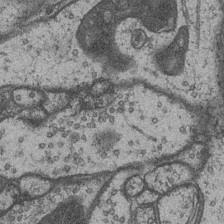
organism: Drosophila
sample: Optic medulla